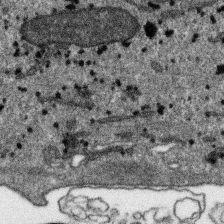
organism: Human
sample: Lung epithelial cells infected with SARS-CoV-2